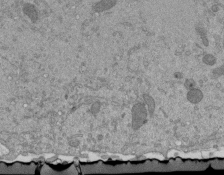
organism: Mouse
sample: ED-1 cell nuclei; centrioles